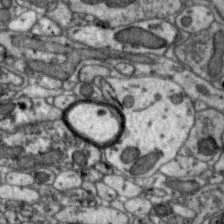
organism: Zebra finch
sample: Brain